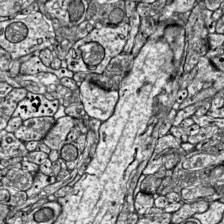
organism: Mouse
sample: Visual Cortex